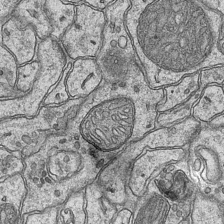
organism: Mouse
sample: CA1 Hippocampus